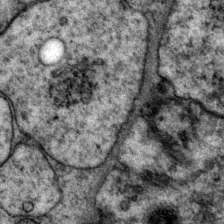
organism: P. pacificus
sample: Pharynx